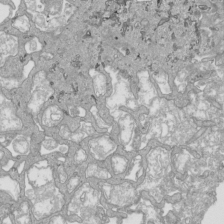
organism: Human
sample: Mitochondria in HCT116 cells